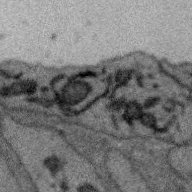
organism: Zebra finch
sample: Brain